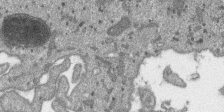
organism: Human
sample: Lung epithelial cells infected with SARS-CoV-2